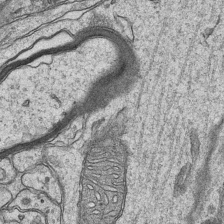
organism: Mouse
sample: CA1 Hippocampus